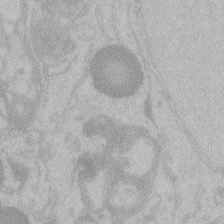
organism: Zebrafish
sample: Macrophage infected with Toxoplasma gondii